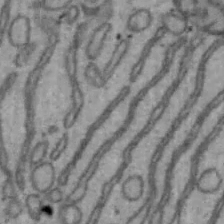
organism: Mouse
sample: Liver